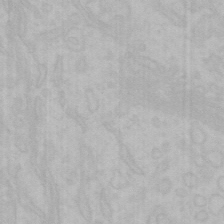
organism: Mouse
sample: Choroid plexus